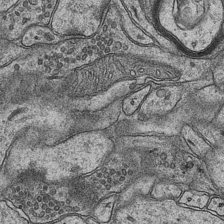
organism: Mouse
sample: CA1 Hippocampus